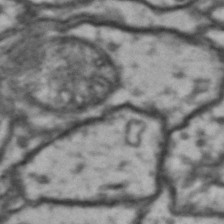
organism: Drosophila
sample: Brain